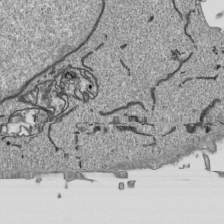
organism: Human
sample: Mitochondria in HCT116 cells